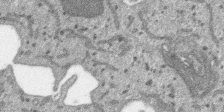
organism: Human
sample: Lung epithelial cells infected with SARS-CoV-2